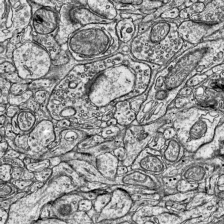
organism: Mouse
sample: Visual Cortex